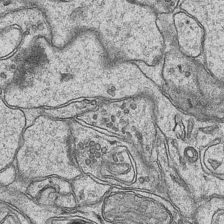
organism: Mouse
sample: CA1 Hippocampus